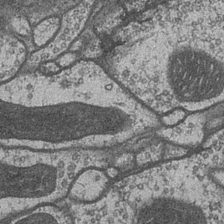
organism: Drosophila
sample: Optic medulla